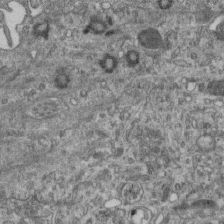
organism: Mouse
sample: Centriole in ependymal cells